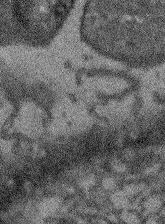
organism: Arabidopsis thaliana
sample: Root tip